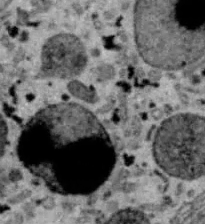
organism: Mouse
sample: Liver from an obese (ob/ob) mouse